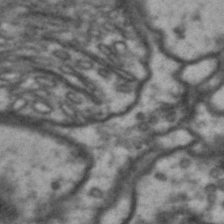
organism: Drosophila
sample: Brain